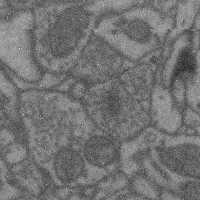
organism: Mouse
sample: Cerebral cortex